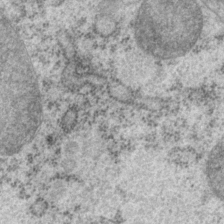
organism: P. pacificus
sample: Pharynx